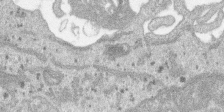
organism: Human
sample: Lung epithelial cells infected with SARS-CoV-2